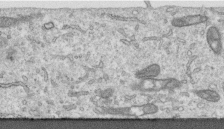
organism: Human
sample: Centriole in RPE cells